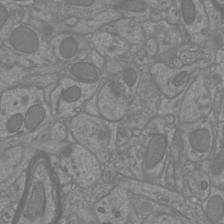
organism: Mouse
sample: Cortical neurons